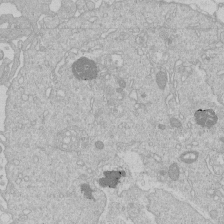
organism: Human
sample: Macrophage cells